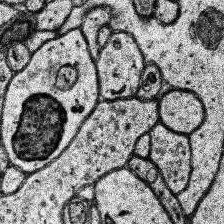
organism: Human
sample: Temporal Lobe